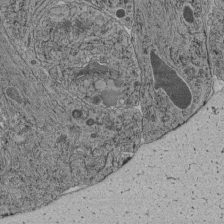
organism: C. elegans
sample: C. elegans pharynx